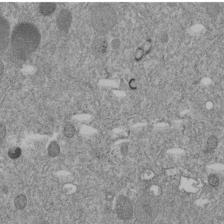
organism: C. elegans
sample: C. elegans embryo early stage